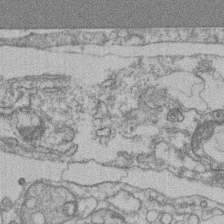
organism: Mouse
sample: T cell stromal cell synapse